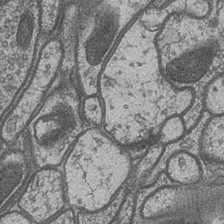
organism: Drosophila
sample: Optic medulla